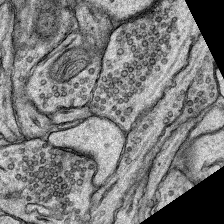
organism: Rat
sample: Hippocampus